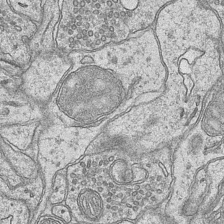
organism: Mouse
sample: CA1 Hippocampus